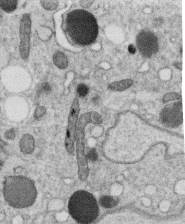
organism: C. elegans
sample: C. elegans oocyte; sperm cells